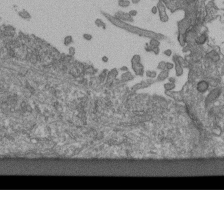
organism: Human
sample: Retinal organoid Rod and Cone cells